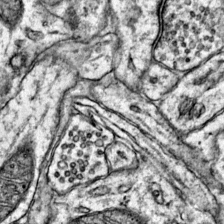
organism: Mouse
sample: Primary visual cortex